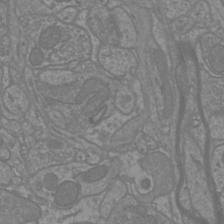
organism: Mouse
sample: Cortical neurons